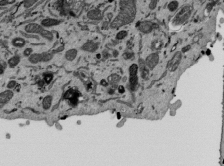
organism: Mouse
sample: ED-1 cell nuclei; centrioles